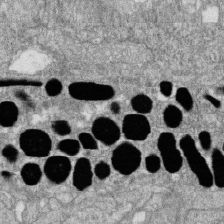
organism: Zebrafish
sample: Cilia; retinal pigment epithelium